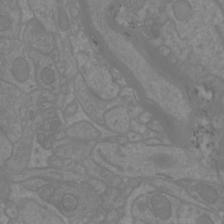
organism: Mouse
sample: Cortical neurons